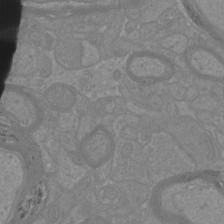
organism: Mouse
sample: Cortical neurons